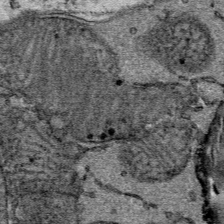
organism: Mouse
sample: Mouse Salivary gland